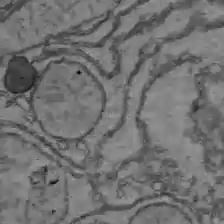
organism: C57BL Mouse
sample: Liver